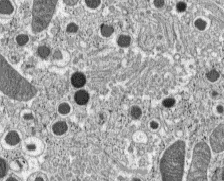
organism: C57BL Mouse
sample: Pancreatic islet